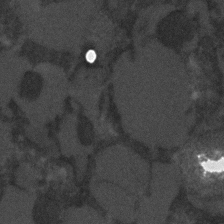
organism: C. elegans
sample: C. elegans embryo